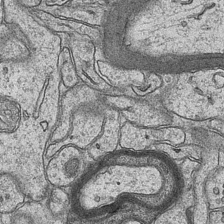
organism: Mouse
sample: CA1 Hippocampus